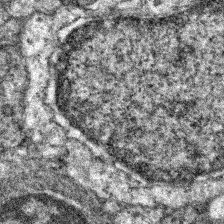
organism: Zebrafish